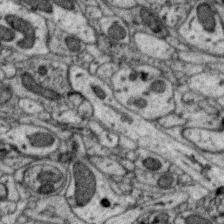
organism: Zebra finch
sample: Brain